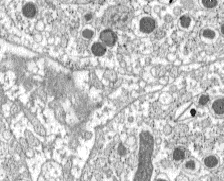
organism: C57BL Mouse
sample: Pancreatic islet